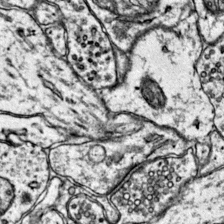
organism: Mouse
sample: Primary visual cortex